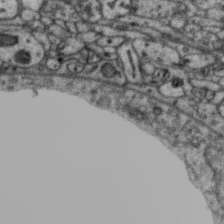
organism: Zebra finch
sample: Brain